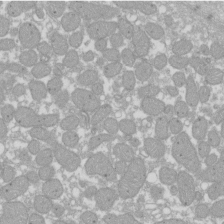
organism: Xenopus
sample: Cilia; centrioles in frog embryo cells